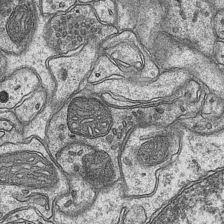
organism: Mouse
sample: CA1 Hippocampus